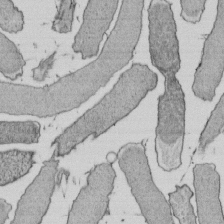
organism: E. coli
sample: Bacterial nucleoid